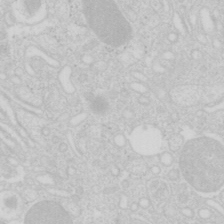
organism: Mouse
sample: Pancreas